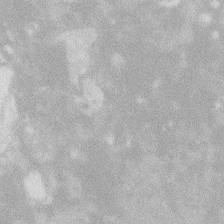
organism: Zebrafish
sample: Macrophage